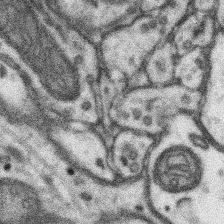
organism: Mouse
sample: Somatosensory cortex neuropil